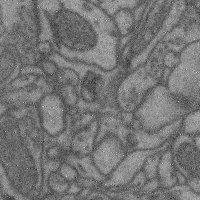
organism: Mouse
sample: Cerebral cortex